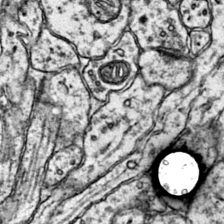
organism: Mouse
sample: Primary visual cortex